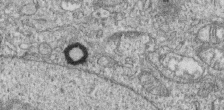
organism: Human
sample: HeLa cell HIV synapse